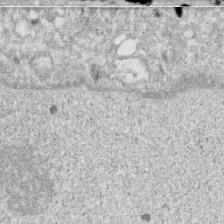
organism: Human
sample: HeLa cell HIV synapse